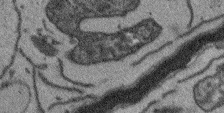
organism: Arabidopsis thaliana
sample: Root tip